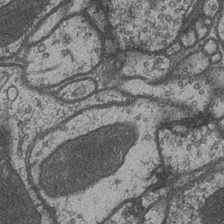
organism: Drosophila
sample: Optic medulla